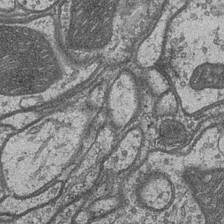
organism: Drosophila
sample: Optic medulla